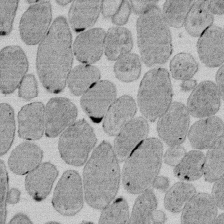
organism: E. coli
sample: Bacterial nucleoid